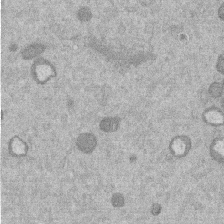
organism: Mouse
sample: Dividing mouse embryo 1 cell stage